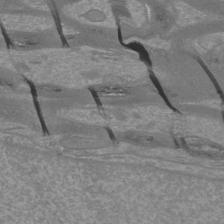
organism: Mouse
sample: Cortical neurons